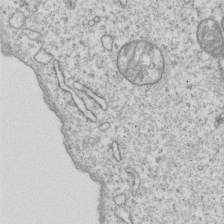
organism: Human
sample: MDA-MB-231 cells